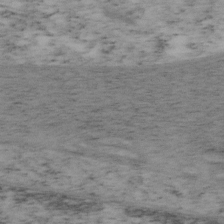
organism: Mouse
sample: OT-I killer T cells with ID8 ovarian cancer cells